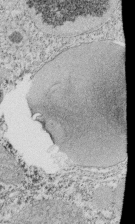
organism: Tetrahymena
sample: Cilia in tetrahymena